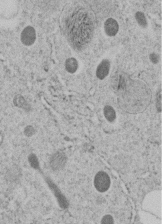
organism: C. elegans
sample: C. elegans embryo early stage